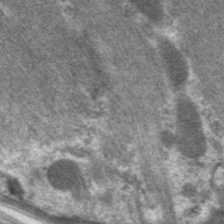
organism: C. elegans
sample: Pharynx